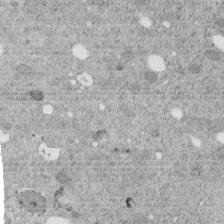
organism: C. elegans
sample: C. elegans embryo early stage